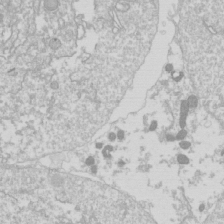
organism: Drosophila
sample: Cell division; meiosis; drosophila spermatocytes